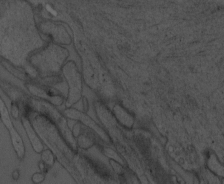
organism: Mouse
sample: OT-I killer T cells with ID8 ovarian cancer cells